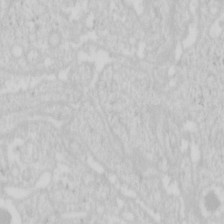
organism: Mouse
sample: Pancreas